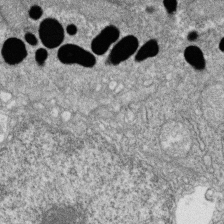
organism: Zebrafish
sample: Cilia; retinal pigment epithelium